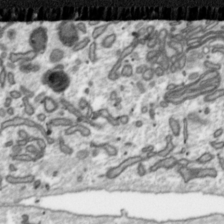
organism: Toxoplasma gondii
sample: Parasites in a vacuole inside a host cell